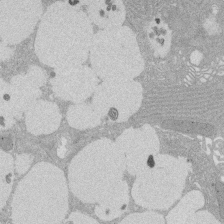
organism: Rat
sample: Salivary granule